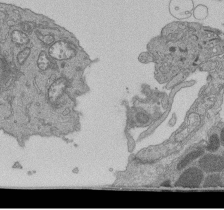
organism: Human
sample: Retinal organoid Rod and Cone cells